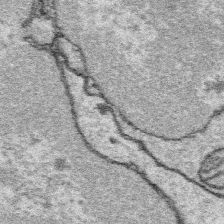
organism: Platynereis dumerilii